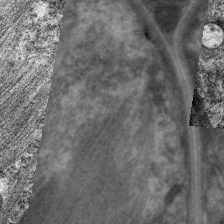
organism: C. elegans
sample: Pharynx